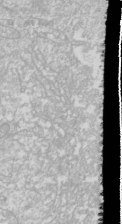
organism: Drosophila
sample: Cell division; meiosis; drosophila spermatocytes